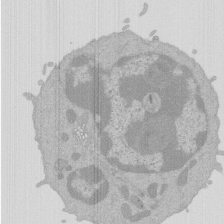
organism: Mouse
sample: Activated Pmel transgenic CD8+ T Cells